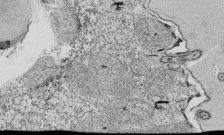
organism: Tetrahymena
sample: Cilia in tetrahymena